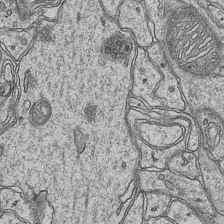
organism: Mouse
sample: CA1 Hippocampus